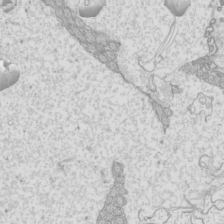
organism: Mouse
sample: Cilia; mouse epididymis